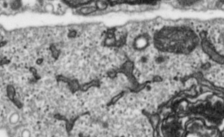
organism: Toxoplasma gondii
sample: Parasites in a vacuole inside a host cell